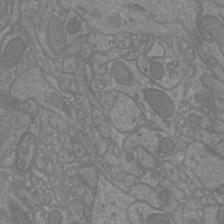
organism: Mouse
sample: Cortical neurons